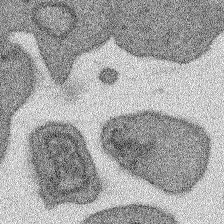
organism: Human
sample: HeLa cells